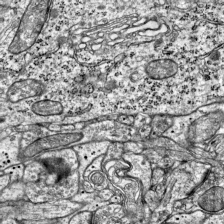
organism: Mouse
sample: Visual Cortex